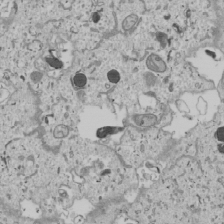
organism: Human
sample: Mitochondria in U2OS cells